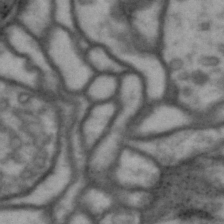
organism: Drosophila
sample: Brain